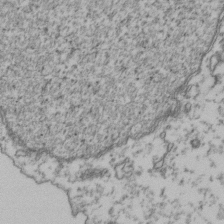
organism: Human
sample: Activated Jurkat CD4+ T cells